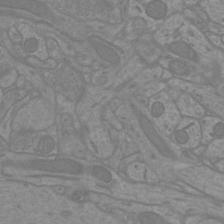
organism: Mouse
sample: Cortical neurons